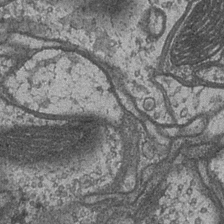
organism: Drosophila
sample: Optic medulla